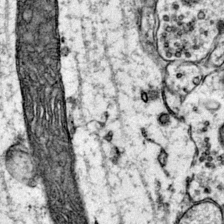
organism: Mouse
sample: Primary visual cortex